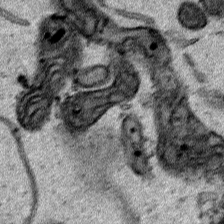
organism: Human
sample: Mitochondria in HCT116 cells